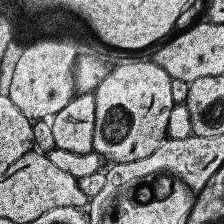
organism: Human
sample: Temporal Lobe